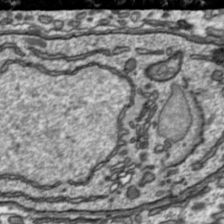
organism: Toxoplasma gondii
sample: Parasites in a vacuole inside a host cell